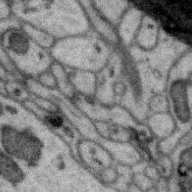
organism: Zebra finch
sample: Brain